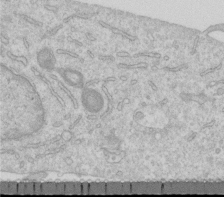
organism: Human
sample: Centriole in RPE cells